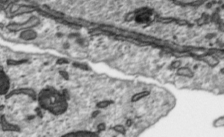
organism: Toxoplasma gondii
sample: Parasites in a vacuole inside a host cell